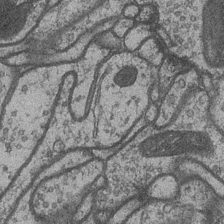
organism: Drosophila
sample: Optic medulla